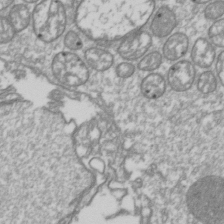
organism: Drosophila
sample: Cell division; meiosis; drosophila spermatocytes